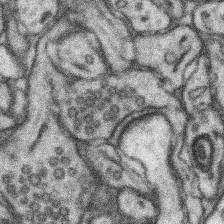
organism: Mouse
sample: Somatosensory cortex neuropil